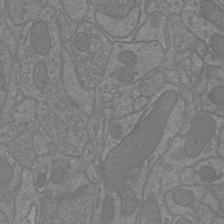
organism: Mouse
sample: Cortical neurons